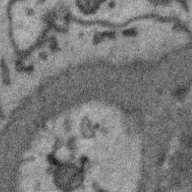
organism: Zebra finch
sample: Brain